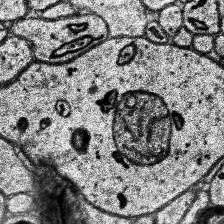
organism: Human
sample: Temporal Lobe